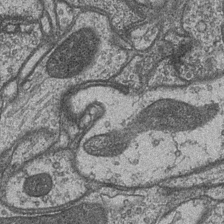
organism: Drosophila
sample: Optic medulla